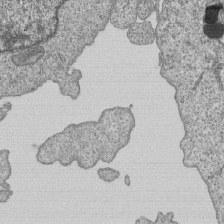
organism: Human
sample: MDA-MB-231 cells